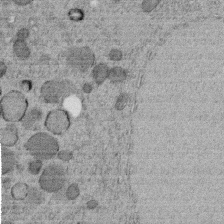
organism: C. elegans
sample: C. elegans embryo early stage